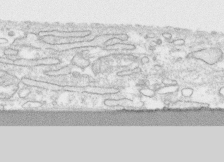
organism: Human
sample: CRL-1474